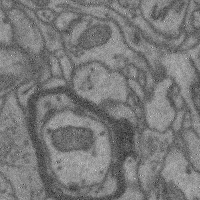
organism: Mouse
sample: Cerebral cortex